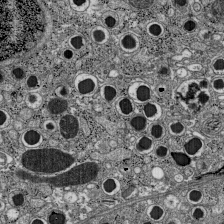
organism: C57BL Mouse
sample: Pancreatic islet